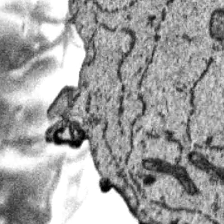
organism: Human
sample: HeLa cells